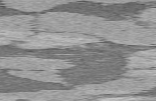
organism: C57BL Mouse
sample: Heart